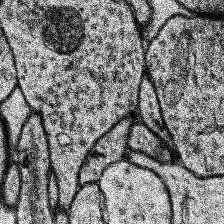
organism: Human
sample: Temporal Lobe